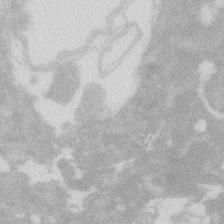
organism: Zebrafish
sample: Macrophage